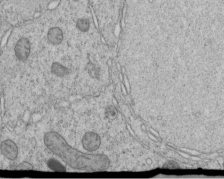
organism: C. elegans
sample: C. elegans embryo early stage